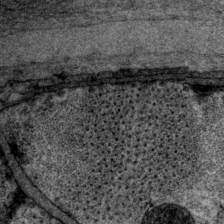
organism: P. pacificus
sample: Pharynx